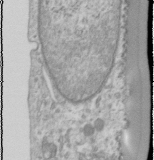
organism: Human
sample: Cilia; basal body in RPE cells